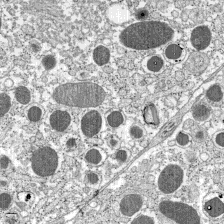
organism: C57BL Mouse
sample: Pancreatic islet